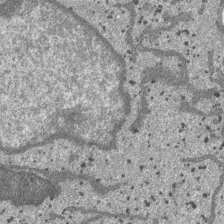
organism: Human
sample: Lung epithelial cells infected with SARS-CoV-2